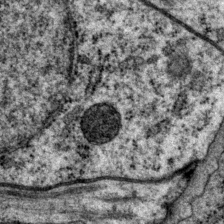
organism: P. pacificus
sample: Pharynx